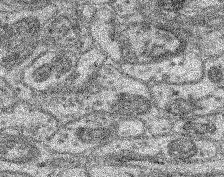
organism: Mouse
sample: Retina